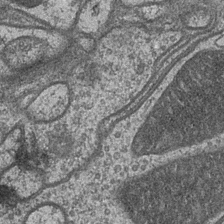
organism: Drosophila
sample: Optic medulla